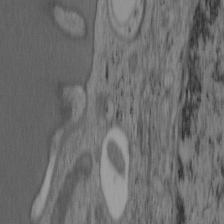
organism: Human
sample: HeLa cells